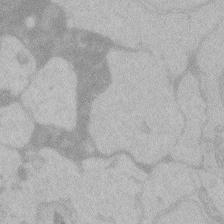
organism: Zebrafish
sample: Macrophage infected with Toxoplasma gondii